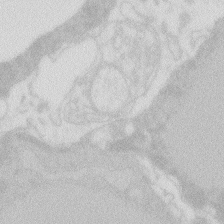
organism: Zebrafish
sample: Macrophage